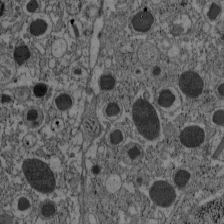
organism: C57BL Mouse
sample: Pancreatic islet